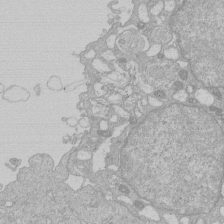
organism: Human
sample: Macrophage cells